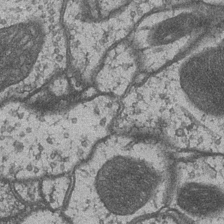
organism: Drosophila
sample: Optic medulla